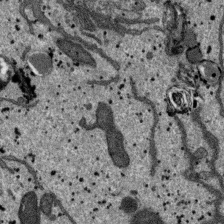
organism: Human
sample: Lung epithelial cells, uninfected (mock) control